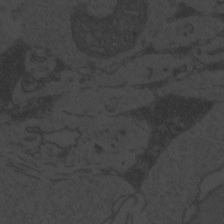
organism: Zebrafish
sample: Macrophage infected with Toxoplasma gondii